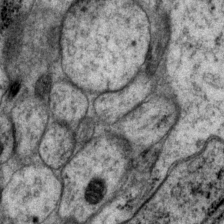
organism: P. pacificus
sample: Pharynx